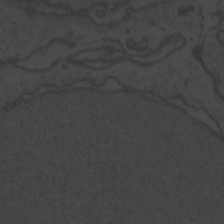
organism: Zebrafish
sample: Macrophage infected with Toxoplasma gondii